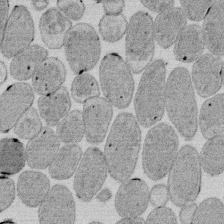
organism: E. coli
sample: Bacterial nucleoid